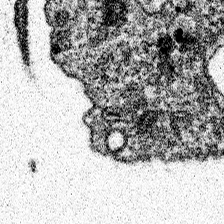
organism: Spongilla lacustris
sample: Neuroid cell